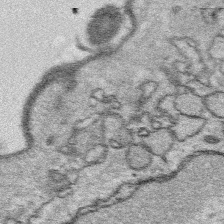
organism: Platynereis dumerilii